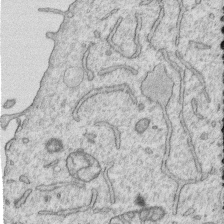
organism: Human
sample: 1205lu cells